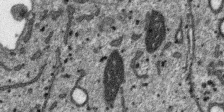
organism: Human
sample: Lung epithelial cells infected with SARS-CoV-2